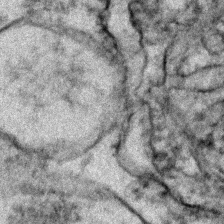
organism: Zebrafish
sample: Zebrafish embryo